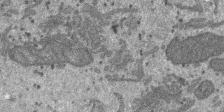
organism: Human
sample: Lung epithelial cells infected with SARS-CoV-2